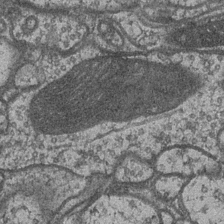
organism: Drosophila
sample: Optic medulla